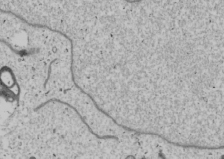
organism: Human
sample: Mitochondria in U2OS cells